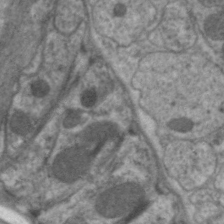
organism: C. elegans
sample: Pharynx